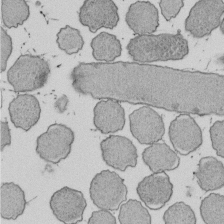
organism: E. coli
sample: Bacterial nucleoid